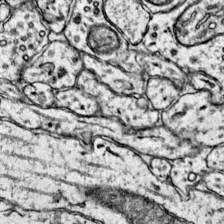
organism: Mouse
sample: Primary visual cortex